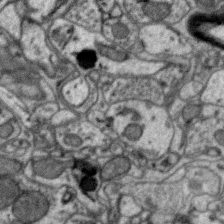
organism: Zebra finch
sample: Brain